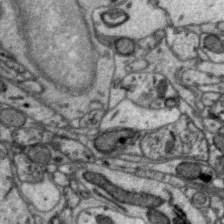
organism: Zebra finch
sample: Brain